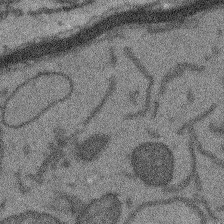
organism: Arabidopsis thaliana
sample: Root tip